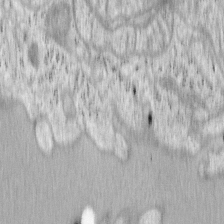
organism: Human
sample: HeLa cells